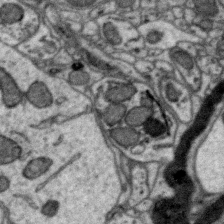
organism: Zebra finch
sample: Brain